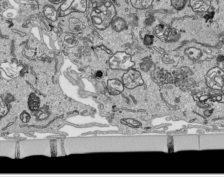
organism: Human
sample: Mitochondria in HCT116 cells